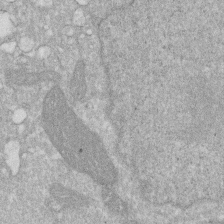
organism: Human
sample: HIV infected U937 cells